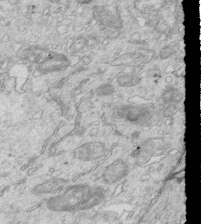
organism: Mouse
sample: Multiciliated cells